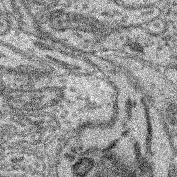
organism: Mouse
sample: Retina